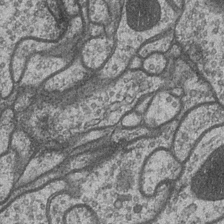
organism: Drosophila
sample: Optic medulla